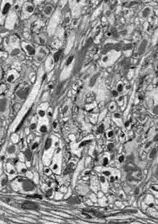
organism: Drosophila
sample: Optic lobe